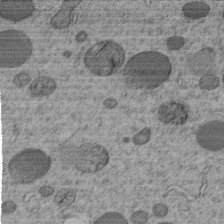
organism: C. elegans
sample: C. elegans embryo early stage